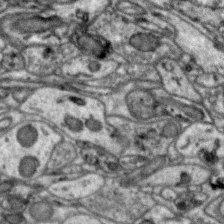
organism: Zebra finch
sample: Brain